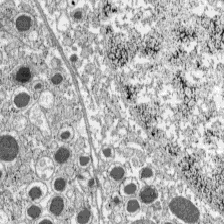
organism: C57BL Mouse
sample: Pancreatic islet